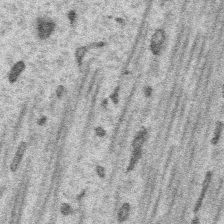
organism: Platynereis dumerilii